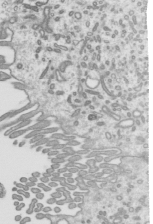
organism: Mouse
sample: Mouse epididymis efferent ductule cilia